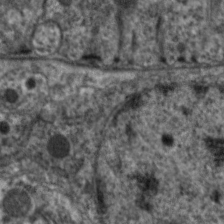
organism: C. elegans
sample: Pharynx